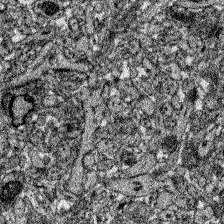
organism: Zebrafish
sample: Larval olfactory bulb